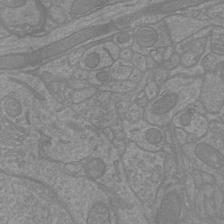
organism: Mouse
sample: Cortical neurons